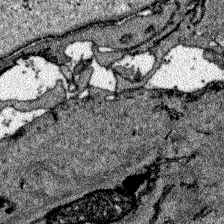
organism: Zebrafish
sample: Larval olfactory bulb